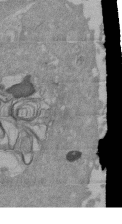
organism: Mouse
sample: ED-1 cell nuclei; centrioles